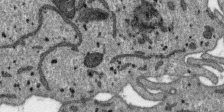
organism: Human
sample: Lung epithelial cells, uninfected (mock) control